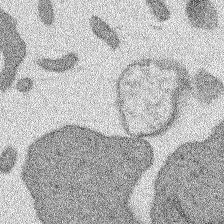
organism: Human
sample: HeLa cells